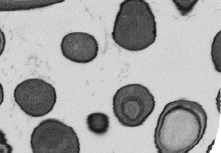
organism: B. subtilis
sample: Bacterial spore